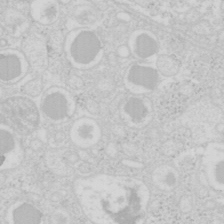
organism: Mouse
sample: Pancreas